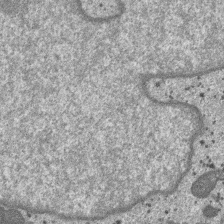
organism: Human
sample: Lung epithelial cells infected with SARS-CoV-2